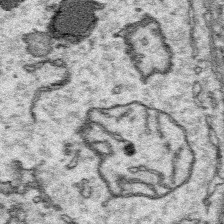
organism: Platynereis dumerilii